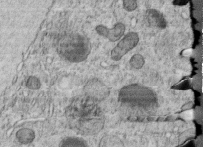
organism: C. elegans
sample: C. elegans embryo early stage